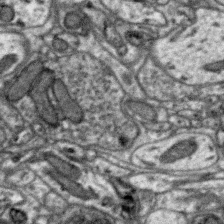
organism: Zebra finch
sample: Brain